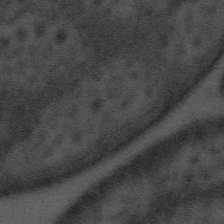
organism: Tuwongella immobilis